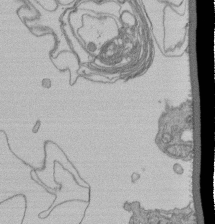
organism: Human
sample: Retinal organoid Rod and Cone cells